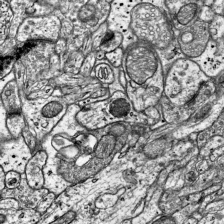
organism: Mouse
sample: Visual Cortex